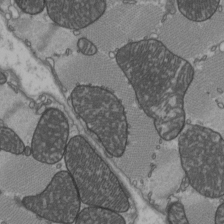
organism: C57BL Mouse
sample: Heart